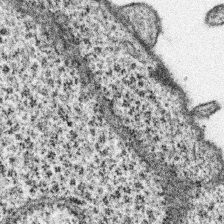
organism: Human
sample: HeLa cells